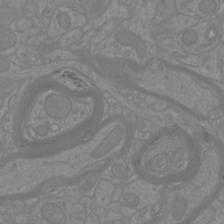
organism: Mouse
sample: Cortical neurons